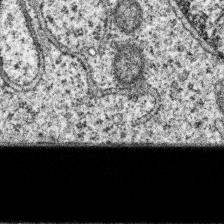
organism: Human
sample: HeLa cells